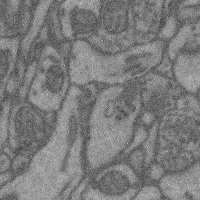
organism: Mouse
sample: Cerebral cortex